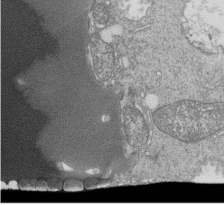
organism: Tetrahymena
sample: Cilia in tetrahymena